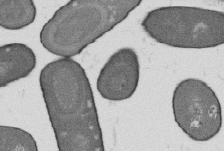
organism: B. subtilis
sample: Bacterial spore